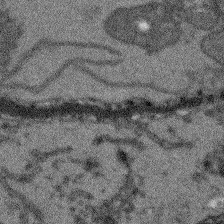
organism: Arabidopsis thaliana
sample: Root tip